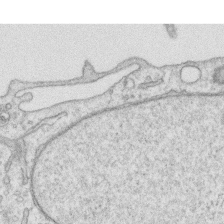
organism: Human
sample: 1205lu cells